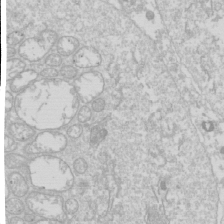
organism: Drosophila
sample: Cell division; meiosis; drosophila spermatocytes